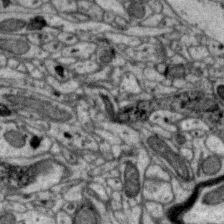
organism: Zebra finch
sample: Brain